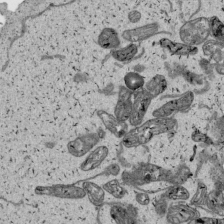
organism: Human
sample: Mitochondria in HCT116 cells